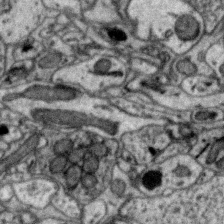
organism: Zebra finch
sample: Brain